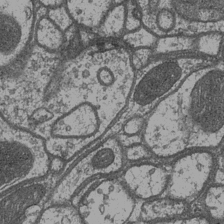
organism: Drosophila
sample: Optic medulla